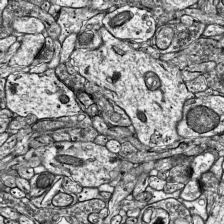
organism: Mouse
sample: Visual Cortex